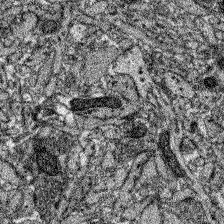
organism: Zebrafish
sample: Larval olfactory bulb